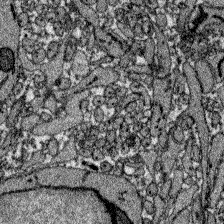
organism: Zebrafish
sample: Larval olfactory bulb